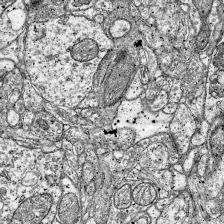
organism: Mouse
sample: Visual Cortex